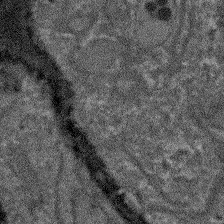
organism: Arabidopsis thaliana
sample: Root tip